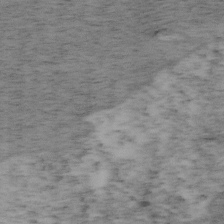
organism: Mouse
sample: OT-I killer T cells with ID8 ovarian cancer cells